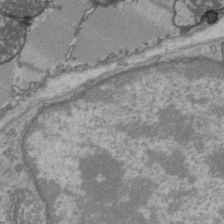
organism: C57BL Mouse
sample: Heart